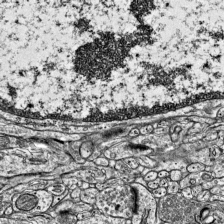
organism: Mouse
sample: Visual Cortex